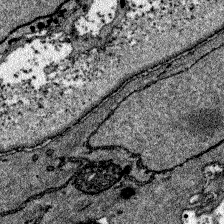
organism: Zebrafish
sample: Larval olfactory bulb